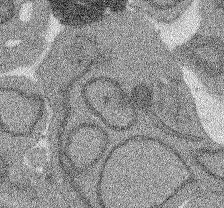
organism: Human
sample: HeLa cells